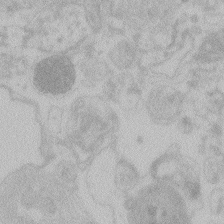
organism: Zebrafish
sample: Macrophage infected with Toxoplasma gondii